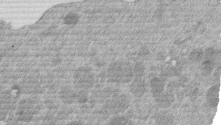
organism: Mouse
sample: Dividing mouse embryo 1 cell stage